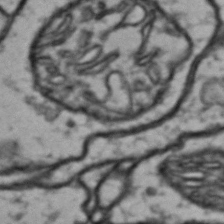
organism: Drosophila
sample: Brain